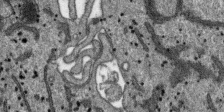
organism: Human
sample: Lung epithelial cells, uninfected (mock) control